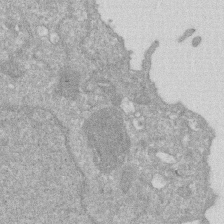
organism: Human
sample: HIV infected U937 cells